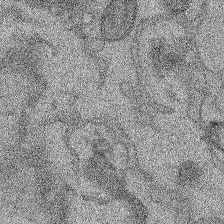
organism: Human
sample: HeLa cells